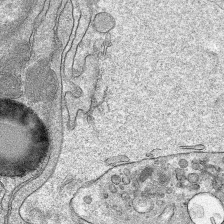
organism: Mouse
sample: Mouse hepatocytes